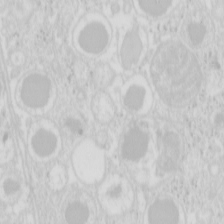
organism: Mouse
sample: Pancreas